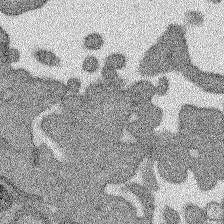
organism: Human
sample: HeLa cells